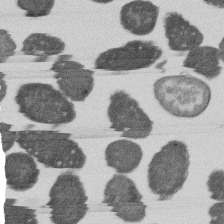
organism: E. coli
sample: Bacterial nucleoid